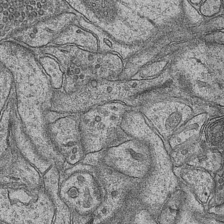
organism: Mouse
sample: CA1 Hippocampus